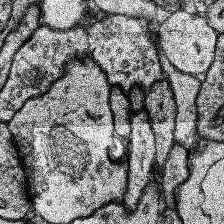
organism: Human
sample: Temporal Lobe